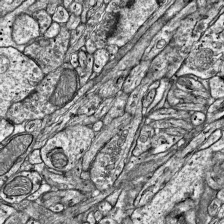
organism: Mouse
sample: Visual Cortex